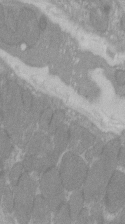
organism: C57BL Mouse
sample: Tibialis anterior muscle cell